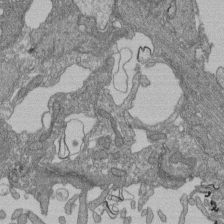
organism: Human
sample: Retinal organoid Rod and Cone cells